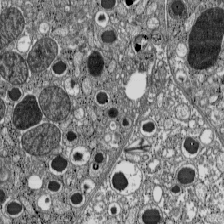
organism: C57BL Mouse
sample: Pancreatic islet